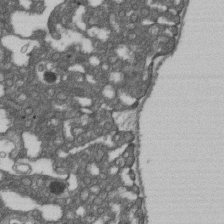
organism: Drosophila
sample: Nephrocyte